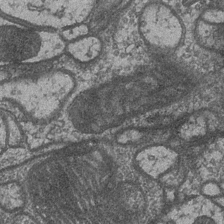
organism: Drosophila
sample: Optic medulla